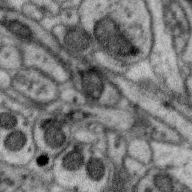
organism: Zebra finch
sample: Brain